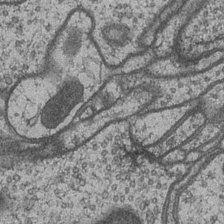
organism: Drosophila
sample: Optic medulla